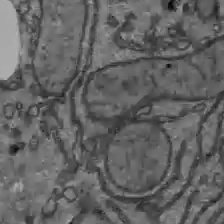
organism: C57BL Mouse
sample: Liver